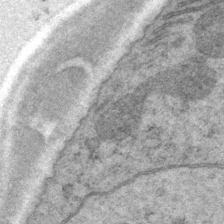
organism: P. pacificus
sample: Pharynx